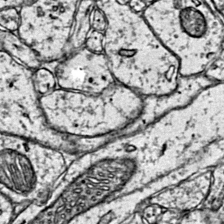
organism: Mouse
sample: Primary visual cortex